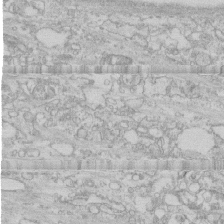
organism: Human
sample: CRL-1474